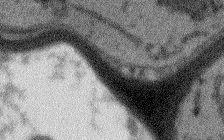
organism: Arabidopsis thaliana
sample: Root tip